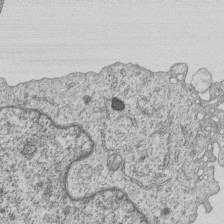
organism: Human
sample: MDA-MB-231 cells